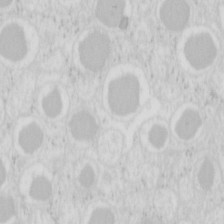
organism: Mouse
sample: Pancreas